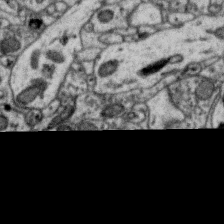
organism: Zebra finch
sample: Brain